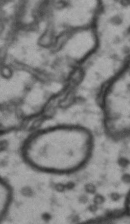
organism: Drosophila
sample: Brain